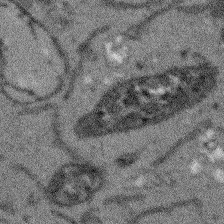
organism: Arabidopsis thaliana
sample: Root tip